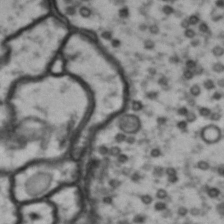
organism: Drosophila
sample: Brain